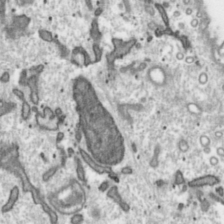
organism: Toxoplasma gondii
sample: Parasites in a vacuole inside a host cell